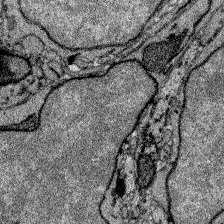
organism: Zebrafish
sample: Larval olfactory bulb